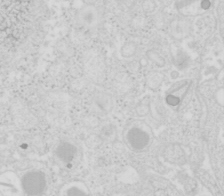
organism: Mouse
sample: Pancreas